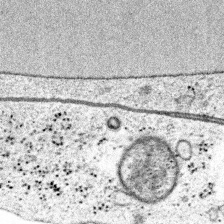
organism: Human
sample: HeLa cells